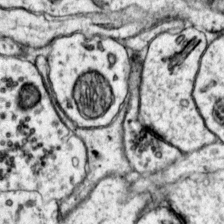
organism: Mouse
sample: Primary visual cortex